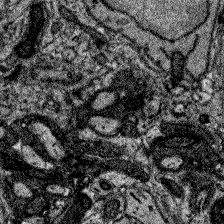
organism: Zebrafish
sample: Larval olfactory bulb